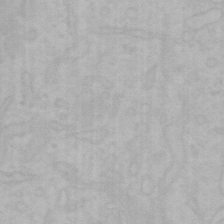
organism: Mouse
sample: Choroid plexus